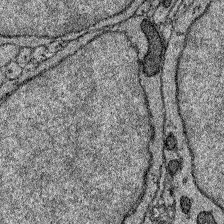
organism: Zebrafish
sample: Larval olfactory bulb